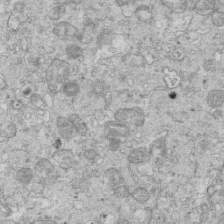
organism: Mouse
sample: Multiciliated cells